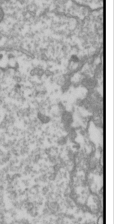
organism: Drosophila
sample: Cell division; meiosis; drosophila spermatocytes